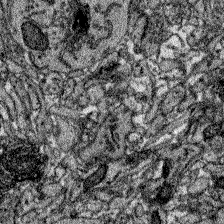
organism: Zebrafish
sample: Larval olfactory bulb